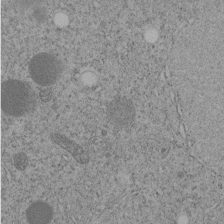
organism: C. elegans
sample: C. elegans embryo early stage